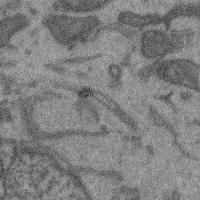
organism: Mouse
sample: Cerebral cortex